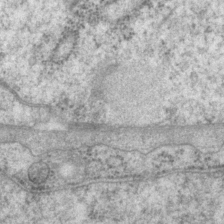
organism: P. pacificus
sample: Pharynx